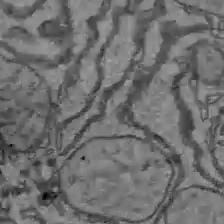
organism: C57BL Mouse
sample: Liver